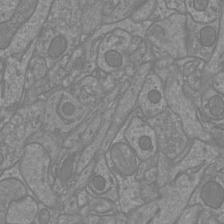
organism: Mouse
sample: Cortical neurons